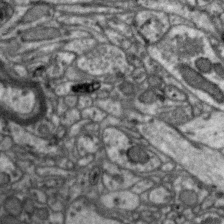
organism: Zebra finch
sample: Brain